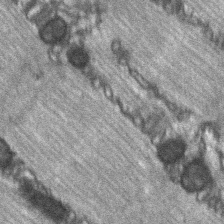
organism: C57BL Mouse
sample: Soleus